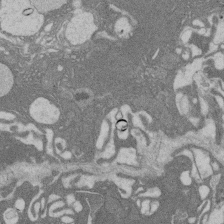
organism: Rat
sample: Salivary granule